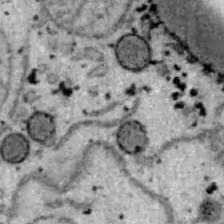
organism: Mouse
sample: Liver from an obese (ob/ob) mouse